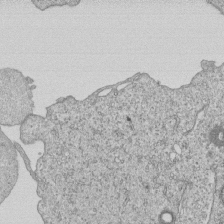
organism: Human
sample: MDA-MB-231 cells